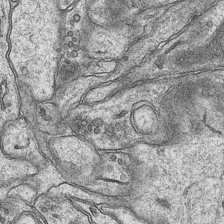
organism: Mouse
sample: CA1 Hippocampus